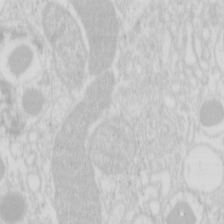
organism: Mouse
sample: Pancreas